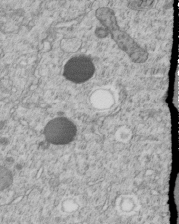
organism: C. elegans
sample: C. elegans embryo early stage